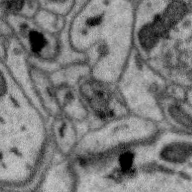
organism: Zebra finch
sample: Brain